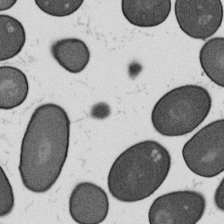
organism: B. subtilis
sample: Bacterial spore